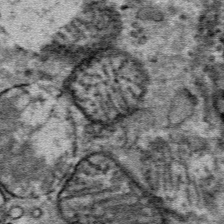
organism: Mouse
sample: Mouse Salivary gland